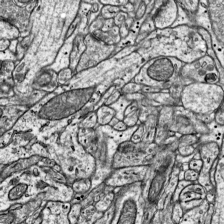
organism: Mouse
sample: Visual Cortex